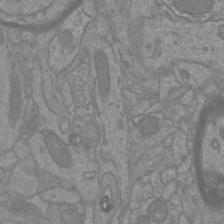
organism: Mouse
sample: Cortical neurons